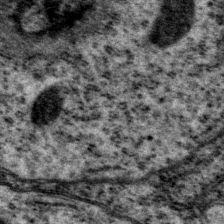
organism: P. pacificus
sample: Pharynx